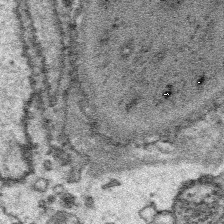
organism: Platynereis dumerilii